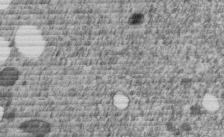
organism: C. elegans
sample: C. elegans embryo early stage